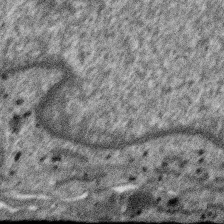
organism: Human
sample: Lung epithelial cells infected with SARS-CoV-2